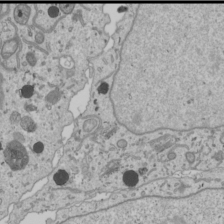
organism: Human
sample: Mitochondria in U2OS cells